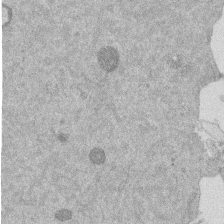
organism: Mouse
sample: Dividing mouse embryo 1 cell stage